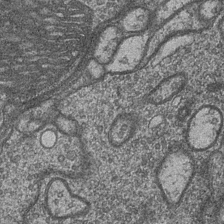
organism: Drosophila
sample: Optic medulla